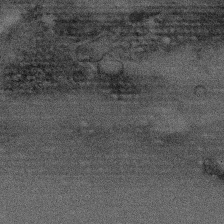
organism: Human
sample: CRL-1474